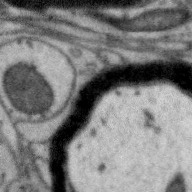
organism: Zebra finch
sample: Brain